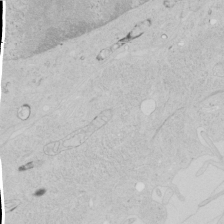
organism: Human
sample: Mitochondria in HCT116 cells